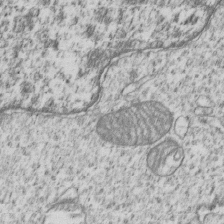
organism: Human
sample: MDA-MB-231 cells